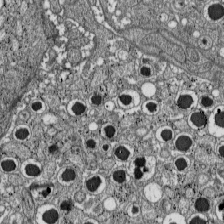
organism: C57BL Mouse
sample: Pancreatic islet